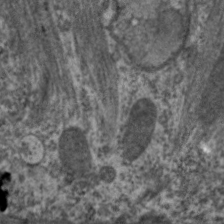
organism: C. elegans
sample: Pharynx